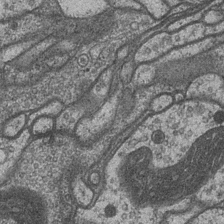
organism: Drosophila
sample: Optic medulla